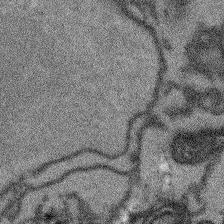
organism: Arabidopsis thaliana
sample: Root tip